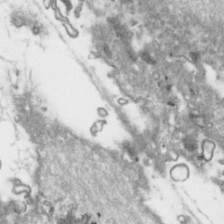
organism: Toxoplasma gondii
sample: Parasites in a vacuole inside a host cell